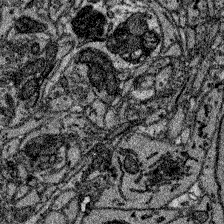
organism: Zebrafish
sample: Larval olfactory bulb